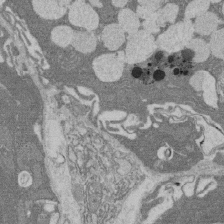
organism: Rat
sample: Salivary granule